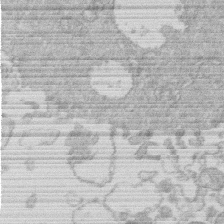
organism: Human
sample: Macrophage cells